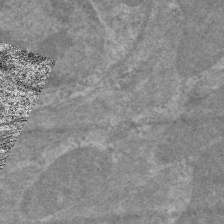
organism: C. elegans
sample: Pharynx